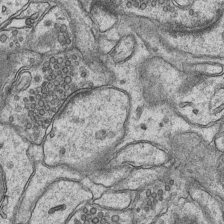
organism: Mouse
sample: CA1 Hippocampus